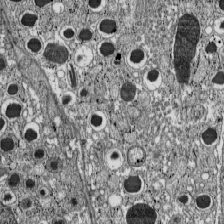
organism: C57BL Mouse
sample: Pancreatic islet